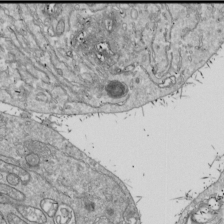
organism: Drosophila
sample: Cell division; meiosis; drosophila spermatocytes